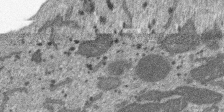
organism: Human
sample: Lung epithelial cells infected with SARS-CoV-2